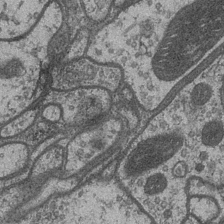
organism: Drosophila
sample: Optic medulla